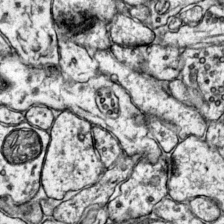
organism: Mouse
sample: Primary visual cortex